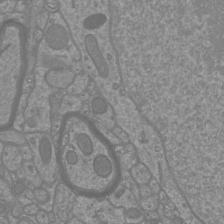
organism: Mouse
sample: Cortical neurons